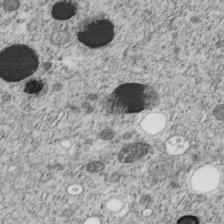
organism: C. elegans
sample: C. elegans embryo early stage